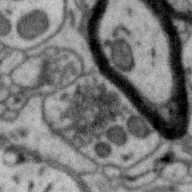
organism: Zebra finch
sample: Brain